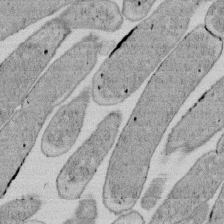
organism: E. coli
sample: Bacterial nucleoid